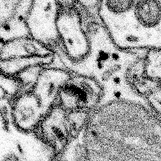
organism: Mouse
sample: Somatosensory cortex neuropil